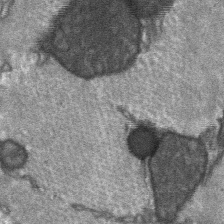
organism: C57BL Mouse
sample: Soleus